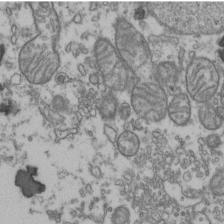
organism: Human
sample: Activated Jurkat CD4+ T cells